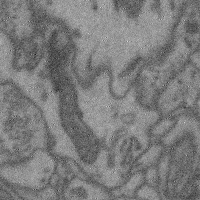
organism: Mouse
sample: Cerebral cortex